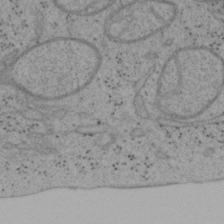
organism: Human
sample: HeLa cells